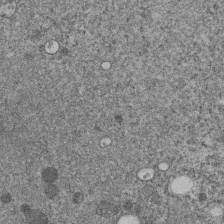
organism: C. elegans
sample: C. elegans embryo early stage